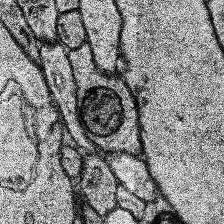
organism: Human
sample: Temporal Lobe